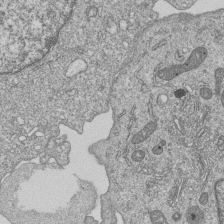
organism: Human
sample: MDA-MB-231 cells